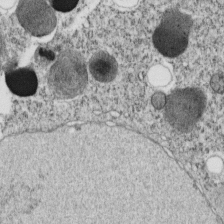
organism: C. elegans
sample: C. elegans embryo early stage